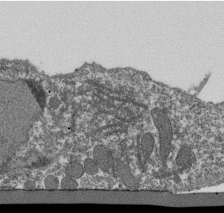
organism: Dictyostelium discoideum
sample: Dictyostelium multivesicular bodies